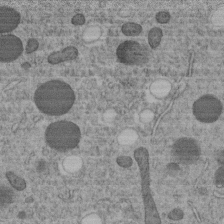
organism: C. elegans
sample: C. elegans embryo early stage